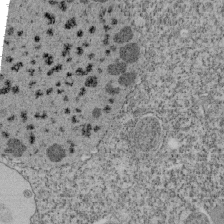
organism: Tetrahymena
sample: Cilia in tetrahymena